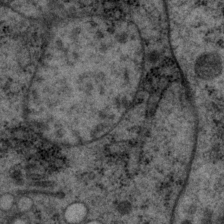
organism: P. pacificus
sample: Pharynx